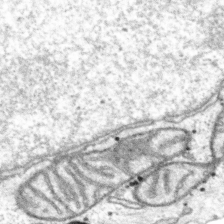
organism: Human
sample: HeLa cells